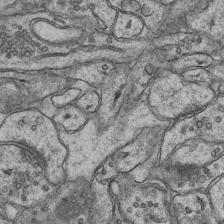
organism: Mouse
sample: CA1 Hippocampus